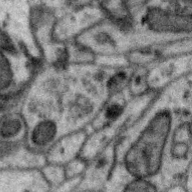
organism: Zebra finch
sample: Brain